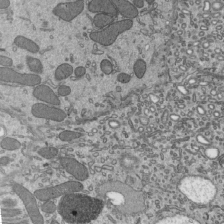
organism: Mouse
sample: Mouse epididymis efferent ductule cilia